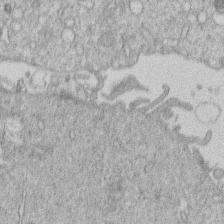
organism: Human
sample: Macrophage cells